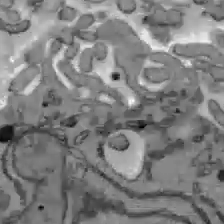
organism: C57BL Mouse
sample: Liver